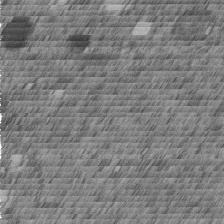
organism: C. elegans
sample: C. elegans embryo early stage